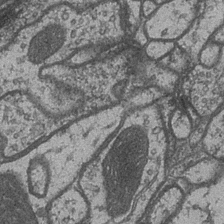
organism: Drosophila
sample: Optic medulla